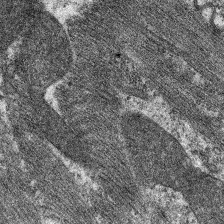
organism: C. elegans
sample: Pharynx